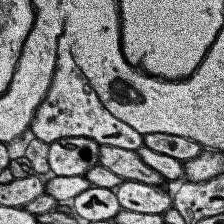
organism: Human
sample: Temporal Lobe